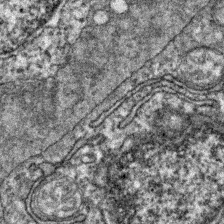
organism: Zebrafish